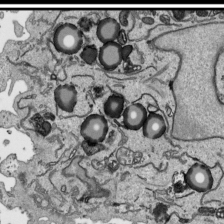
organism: Human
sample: Mitochondria in HCT116 cells